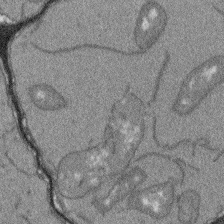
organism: Arabidopsis thaliana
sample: Root tip